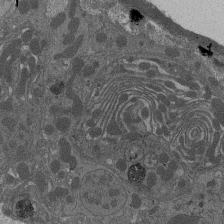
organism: Drosophila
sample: Antenna